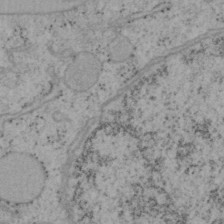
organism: Human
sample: HeLa cells